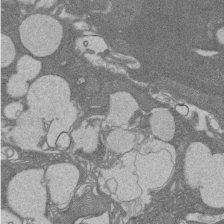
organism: Rat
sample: Salivary granule